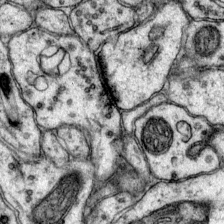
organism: Mouse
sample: Primary visual cortex